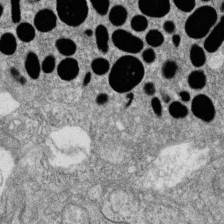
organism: Zebrafish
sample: Cilia; retinal pigment epithelium